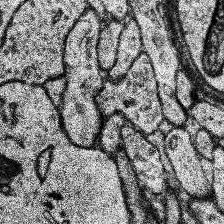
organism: Human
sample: Temporal Lobe